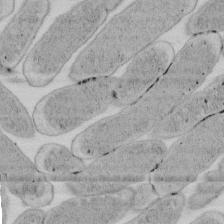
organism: E. coli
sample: Bacterial nucleoid